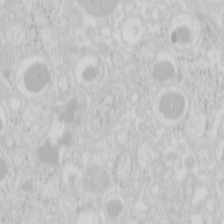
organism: Mouse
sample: Pancreas